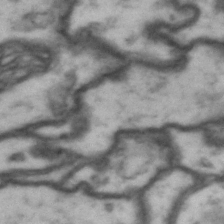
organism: Drosophila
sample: Brain